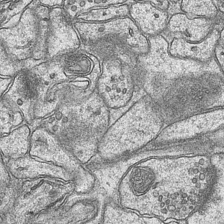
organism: Mouse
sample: CA1 Hippocampus